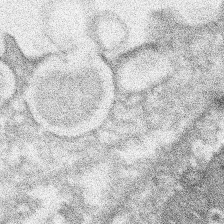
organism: Xenopus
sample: Cilia; centrioles in frog embryo cells